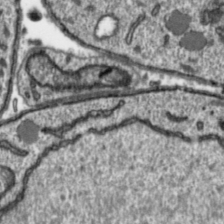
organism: Toxoplasma gondii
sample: Parasites in a vacuole inside a host cell